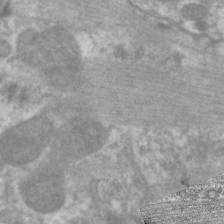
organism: C. elegans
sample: Pharynx